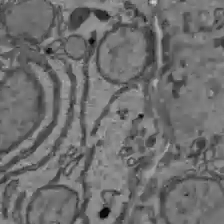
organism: C57BL Mouse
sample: Liver